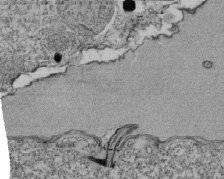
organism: Tetrahymena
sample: Cilia in tetrahymena